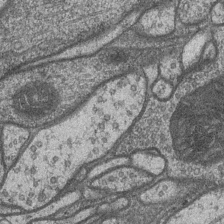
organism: Drosophila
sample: Optic medulla